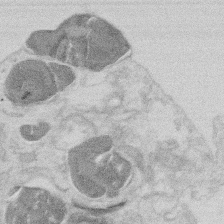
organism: Mouse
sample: T cell stromal cell synapse